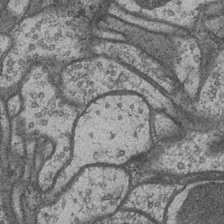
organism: Drosophila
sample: Optic medulla